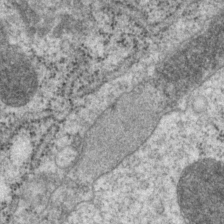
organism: P. pacificus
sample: Pharynx